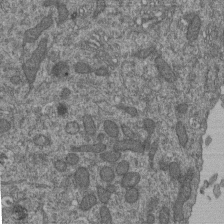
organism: Human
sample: Retinal organoid Rod and Cone cells